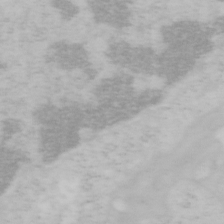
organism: Mouse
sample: OT-I killer T cells with ID8 ovarian cancer cells